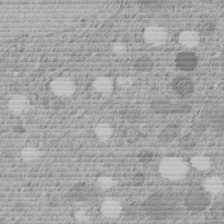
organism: C. elegans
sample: C. elegans embryo early stage